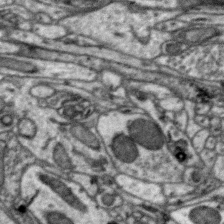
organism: Zebra finch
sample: Brain